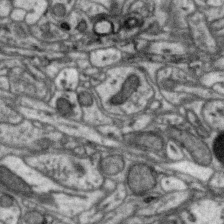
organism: Zebra finch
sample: Brain